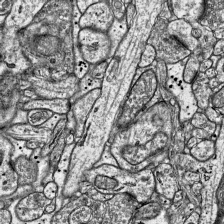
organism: Mouse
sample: Visual Cortex